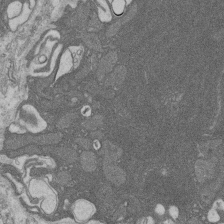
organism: Rat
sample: Salivary granule